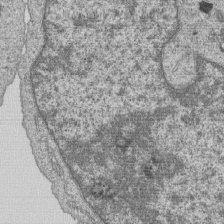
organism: Human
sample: MDA-MB-231 cells